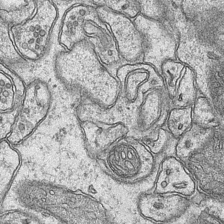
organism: Mouse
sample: CA1 Hippocampus